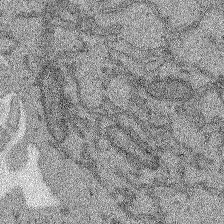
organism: Human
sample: HeLa cells